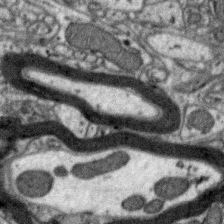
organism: Zebra finch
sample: Brain